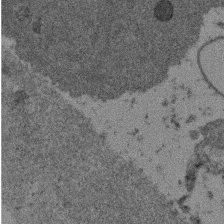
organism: Mouse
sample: Dividing mouse embryo 1 cell stage